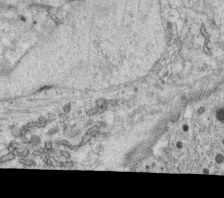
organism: C. elegans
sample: C. elegans oocyte; sperm cells